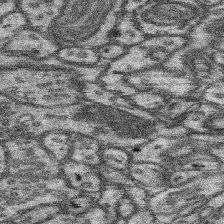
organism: Mouse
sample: Somatosensory cortex neuropil